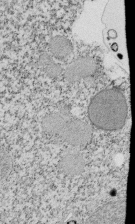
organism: Tetrahymena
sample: Cilia in tetrahymena